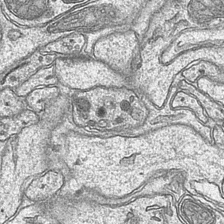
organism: Mouse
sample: CA1 Hippocampus